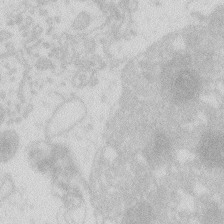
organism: Zebrafish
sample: Macrophage